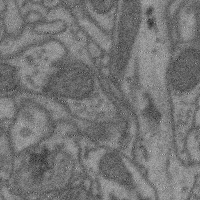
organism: Mouse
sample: Cerebral cortex